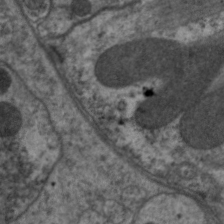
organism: C. elegans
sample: Pharynx